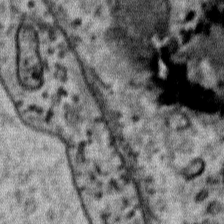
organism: Mouse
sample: Mouse Salivary gland